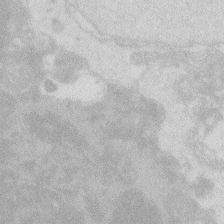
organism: Zebrafish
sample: Macrophage